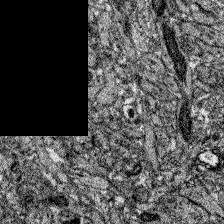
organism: Zebrafish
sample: Larval olfactory bulb